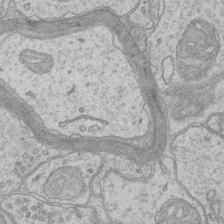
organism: Mouse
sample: CA1 Hippocampus